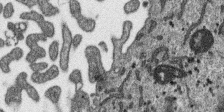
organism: Human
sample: Lung epithelial cells infected with SARS-CoV-2